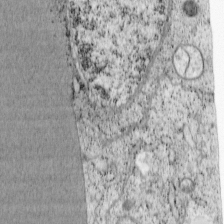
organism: African green monkey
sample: COS-7 cells